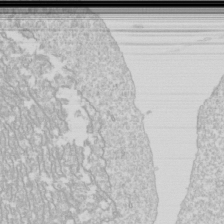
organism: Drosophila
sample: Cell division; meiosis; drosophila spermatocytes